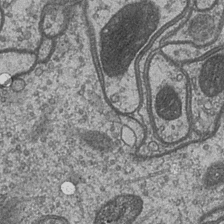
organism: Drosophila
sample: Optic medulla